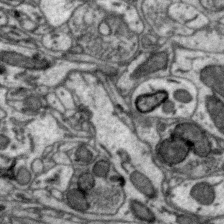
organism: Zebra finch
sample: Brain